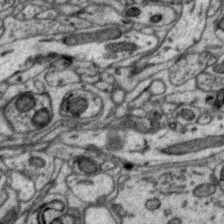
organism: Zebra finch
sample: Brain